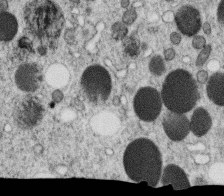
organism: C. elegans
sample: C. elegans oocyte; sperm cells